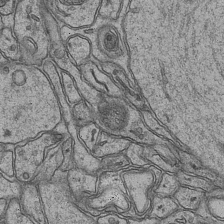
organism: Mouse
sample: CA1 Hippocampus